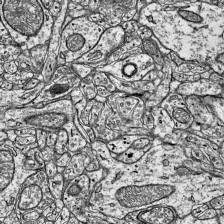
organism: Mouse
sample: Visual Cortex